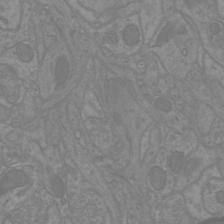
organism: Mouse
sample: Cortical neurons